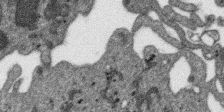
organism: Human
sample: Lung epithelial cells infected with SARS-CoV-2